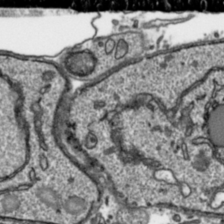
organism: Toxoplasma gondii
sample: Parasites in a vacuole inside a host cell